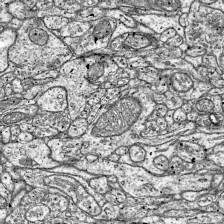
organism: Mouse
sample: Visual Cortex